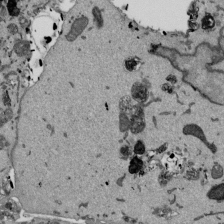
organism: Mouse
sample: ED-1 cell nuclei; centrioles